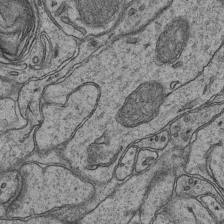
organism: Mouse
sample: CA1 Hippocampus